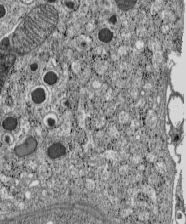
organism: C57BL Mouse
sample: Pancreatic islet